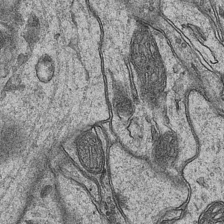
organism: Mouse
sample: CA1 Hippocampus